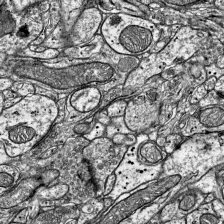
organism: Mouse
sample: Visual Cortex